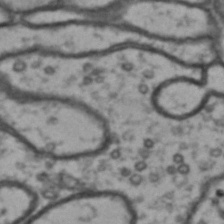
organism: Drosophila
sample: Brain